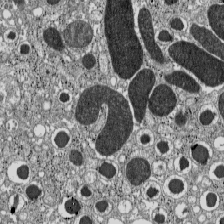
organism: C57BL Mouse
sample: Pancreatic islet